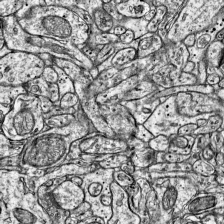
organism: Mouse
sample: Visual Cortex